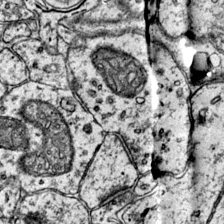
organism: Mouse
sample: Primary visual cortex